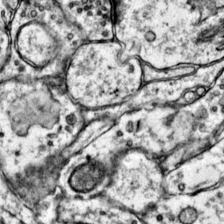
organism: Mouse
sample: Primary visual cortex